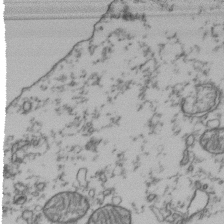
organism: Human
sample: Activated Jurkat CD4+ T cells